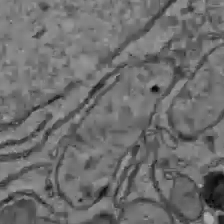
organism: C57BL Mouse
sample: Liver